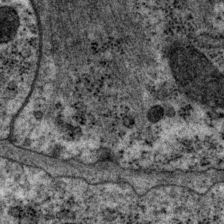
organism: P. pacificus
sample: Pharynx